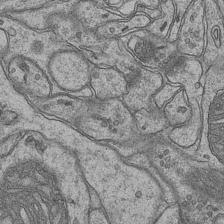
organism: Mouse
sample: CA1 Hippocampus